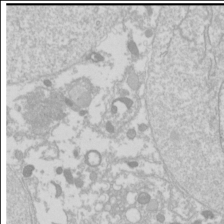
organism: Drosophila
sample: Cell division; meiosis; drosophila spermatocytes